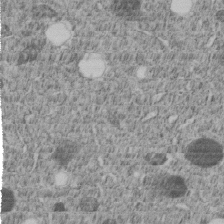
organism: C. elegans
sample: C. elegans embryo early stage